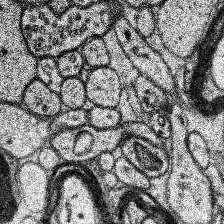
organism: Human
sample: Temporal Lobe